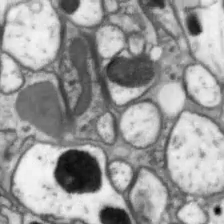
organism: Drosophila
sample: Optic lobe